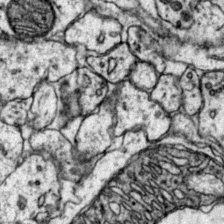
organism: Mouse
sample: Primary visual cortex